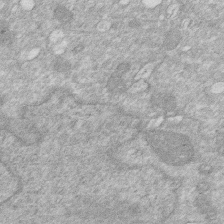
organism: Human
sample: HIV infected U937 cells